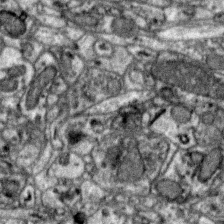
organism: Zebra finch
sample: Brain